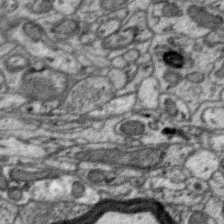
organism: Zebra finch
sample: Brain